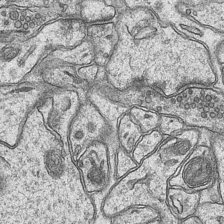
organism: Mouse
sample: CA1 Hippocampus